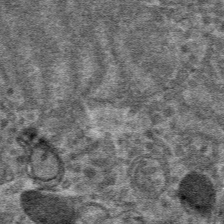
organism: Mouse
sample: Mouse hepatocytes